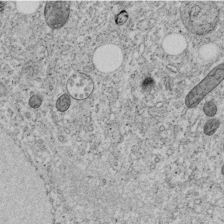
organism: C. elegans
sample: C. elegans embryo early stage